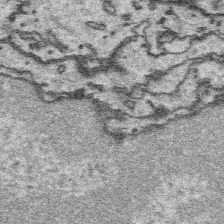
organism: Platynereis dumerilii